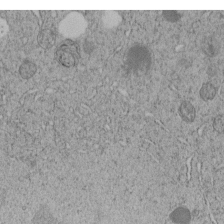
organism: C. elegans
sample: C. elegans embryo early stage